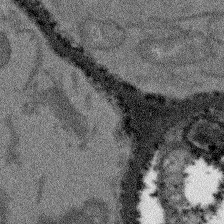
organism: Arabidopsis thaliana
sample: Root tip